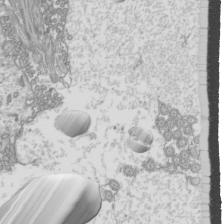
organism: Mouse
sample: Cilia; mouse epididymis